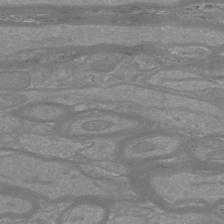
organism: Mouse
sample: Cortical neurons